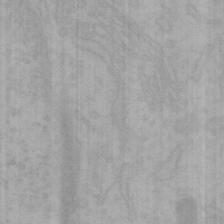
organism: Mouse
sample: Choroid plexus